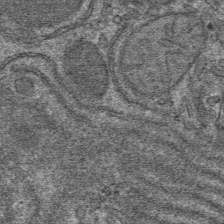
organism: Mouse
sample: Mouse hepatocytes